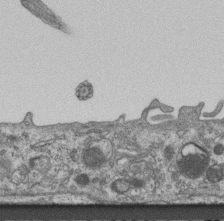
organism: Mouse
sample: Centriole in ependymal cells